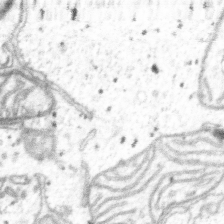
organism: Human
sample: HeLa cells